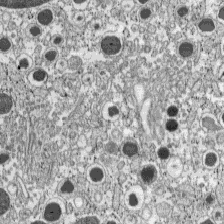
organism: C57BL Mouse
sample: Pancreatic islet